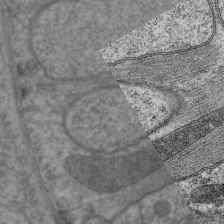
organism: C. elegans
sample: Pharynx